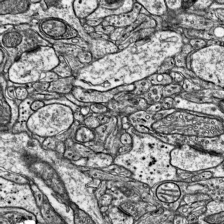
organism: Mouse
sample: Visual Cortex